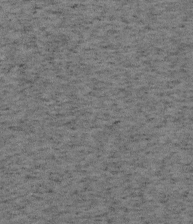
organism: Mouse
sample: OT-I killer T cells with ID8 ovarian cancer cells